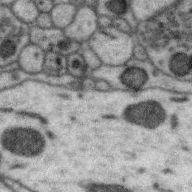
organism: Zebra finch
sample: Brain